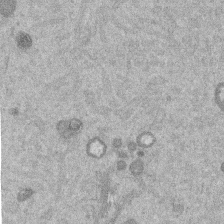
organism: Mouse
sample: Dividing mouse embryo 1 cell stage